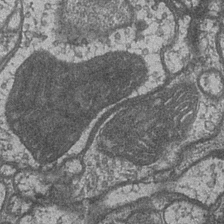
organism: Drosophila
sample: Optic medulla